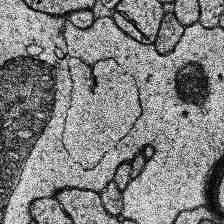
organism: Human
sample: Temporal Lobe